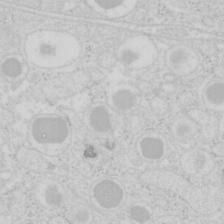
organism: Mouse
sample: Pancreas